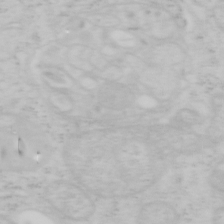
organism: Mouse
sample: OT-I killer T cells with ID8 ovarian cancer cells